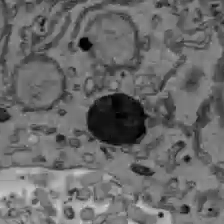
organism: C57BL Mouse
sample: Liver